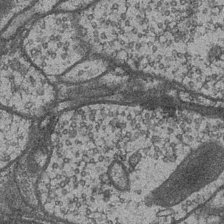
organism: Drosophila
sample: Optic medulla